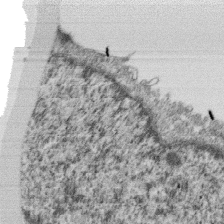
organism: African green monkey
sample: Vero E6 cells infected with SARS-CoV-2